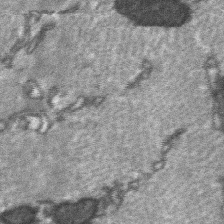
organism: C57BL Mouse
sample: Soleus